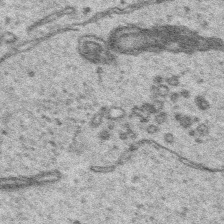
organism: Platynereis dumerilii